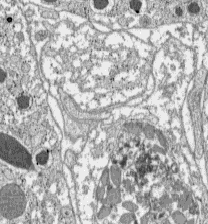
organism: C57BL Mouse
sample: Pancreatic islet